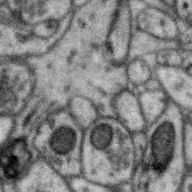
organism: Zebra finch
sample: Brain